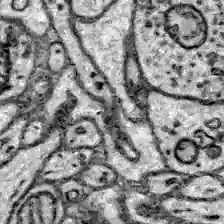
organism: Zebrafish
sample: Brain